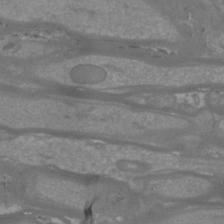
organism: Mouse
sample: Cortical neurons